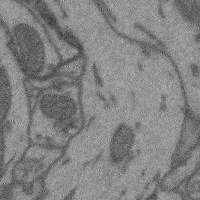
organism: Mouse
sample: Cerebral cortex